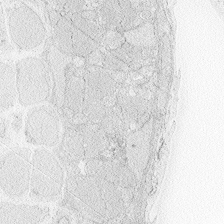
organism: Zebrafish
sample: Whole-Brain